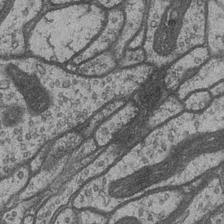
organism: Drosophila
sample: Optic medulla